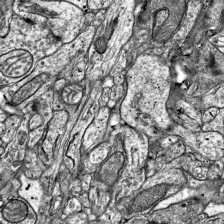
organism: Mouse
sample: Visual Cortex